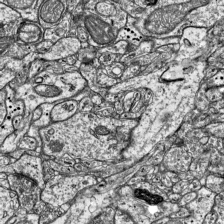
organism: Mouse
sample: Visual Cortex